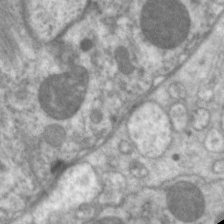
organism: C. elegans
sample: Pharynx